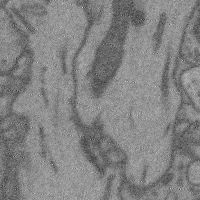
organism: Mouse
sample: Cerebral cortex